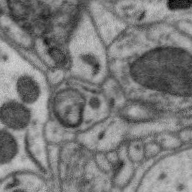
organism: Zebra finch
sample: Brain